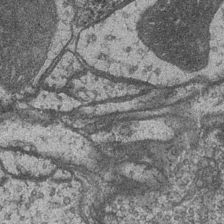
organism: Drosophila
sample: Optic medulla